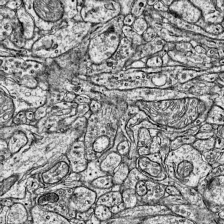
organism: Mouse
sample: Visual Cortex